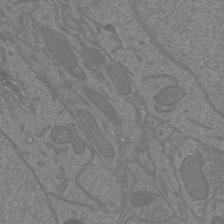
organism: Mouse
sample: Cortical neurons